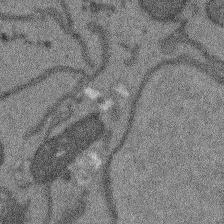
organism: Arabidopsis thaliana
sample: Root tip